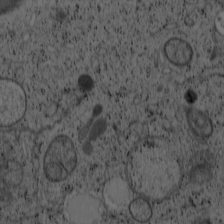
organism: African green monkey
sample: COS-7 cells